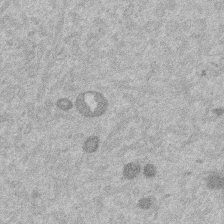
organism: Mouse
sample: Dividing mouse embryo 1 cell stage